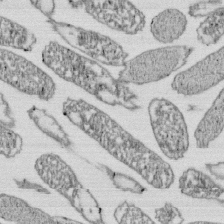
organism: E. coli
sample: Bacterial nucleoid